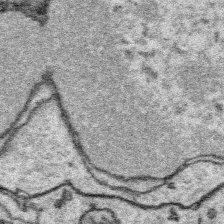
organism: Platynereis dumerilii